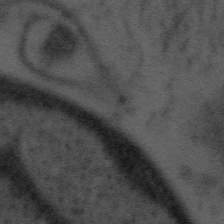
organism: Tuwongella immobilis